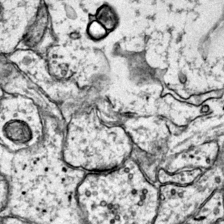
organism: Mouse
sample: Primary visual cortex